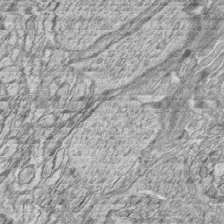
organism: Zebrafish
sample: synaptic ribbons in rod cells and cone cells